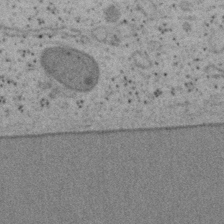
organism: Human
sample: HeLa cells